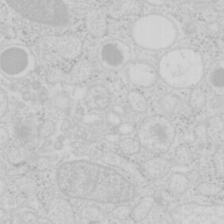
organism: Mouse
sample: Pancreas